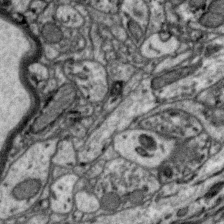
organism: Zebra finch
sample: Brain